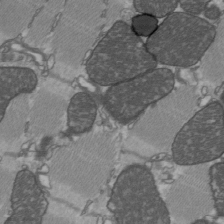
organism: C57BL Mouse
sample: Heart